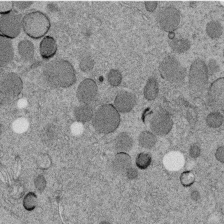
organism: C. elegans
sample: C. elegans embryo early stage